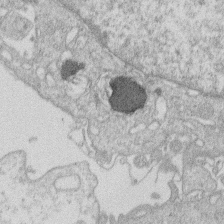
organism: Human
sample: Macrophage cells